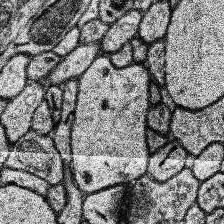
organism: Human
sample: Temporal Lobe